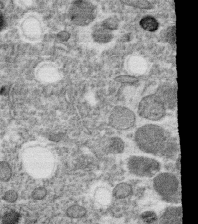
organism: C. elegans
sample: C. elegans oocyte; sperm cells